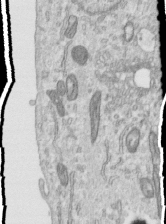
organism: Human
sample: Centriole in RPE cells